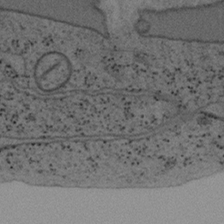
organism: Human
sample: HeLa cells